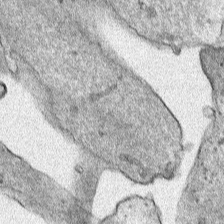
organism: Human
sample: Mitochondria in HCT116 cells